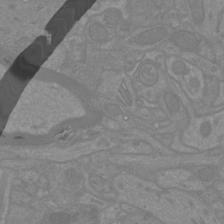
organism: Mouse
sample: Cortical neurons